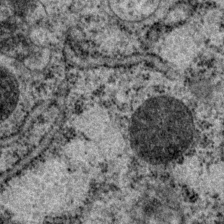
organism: P. pacificus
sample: Pharynx